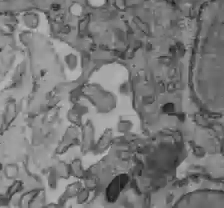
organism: C57BL Mouse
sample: Liver